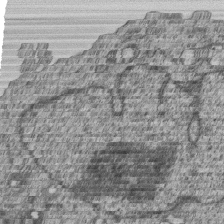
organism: Human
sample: MDA-MB-231 cells